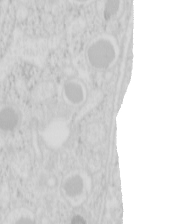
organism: Mouse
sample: Pancreas